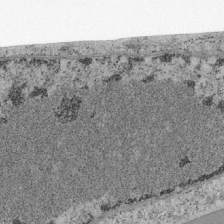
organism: Human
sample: HeLa cells